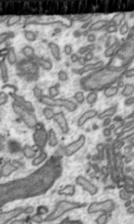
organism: Toxoplasma gondii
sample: Parasites in a vacuole inside a host cell